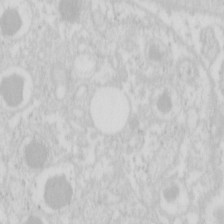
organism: Mouse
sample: Pancreas